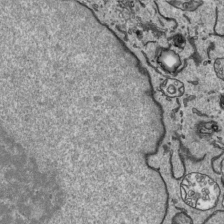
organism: Human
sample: Mitochondria in HCT116 cells